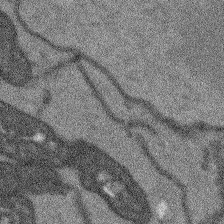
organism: Arabidopsis thaliana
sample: Root tip